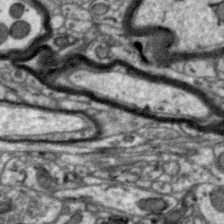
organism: Zebra finch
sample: Brain